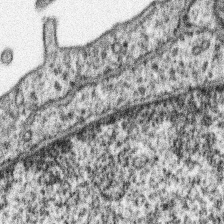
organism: Human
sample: HeLa cells